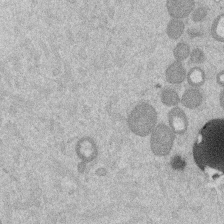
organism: Mouse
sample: Dividing mouse embryo 1 cell stage